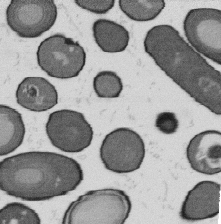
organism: B. subtilis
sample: Bacterial spore